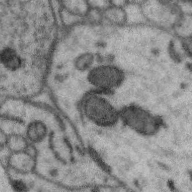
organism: Zebra finch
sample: Brain